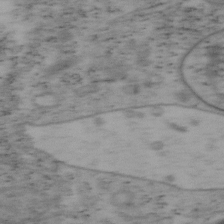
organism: Mouse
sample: OT-I killer T cells with ID8 ovarian cancer cells